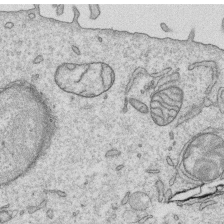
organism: Human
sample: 1205lu cells